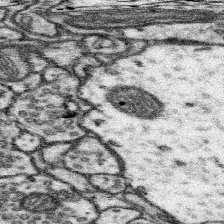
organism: Mouse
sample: Somatosensory cortex neuropil